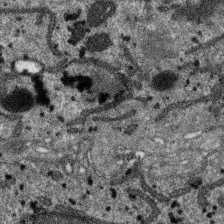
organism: Human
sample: Lung epithelial cells infected with SARS-CoV-2